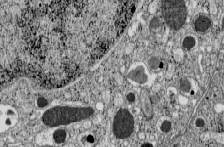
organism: C57BL Mouse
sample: Pancreatic islet